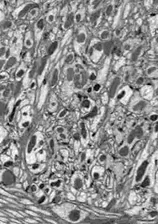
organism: Drosophila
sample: Optic lobe